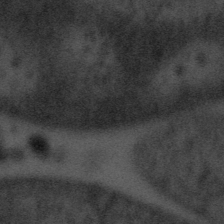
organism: Tuwongella immobilis